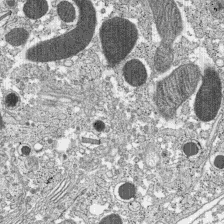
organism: C57BL Mouse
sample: Pancreatic islet